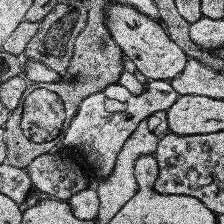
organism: Human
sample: Temporal Lobe